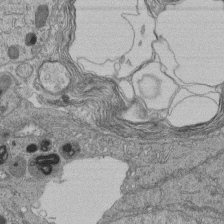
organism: Human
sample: Retinal organoid Rod and Cone cells